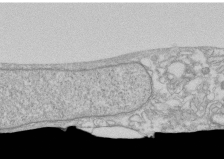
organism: Human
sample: CRL-1474